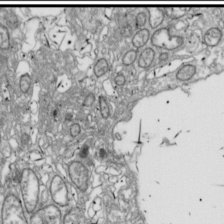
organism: Drosophila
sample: Cell division; meiosis; drosophila spermatocytes